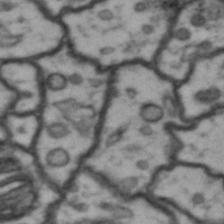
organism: Drosophila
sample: Brain